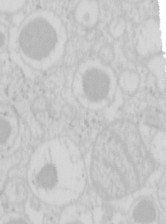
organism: Mouse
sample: Pancreas